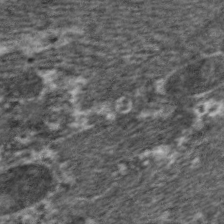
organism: C. elegans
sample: Pharynx